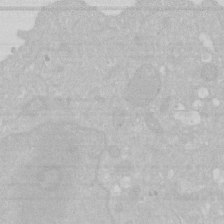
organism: Human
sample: HIV infected U937 cells